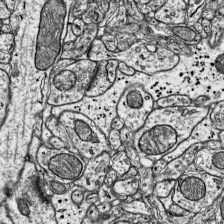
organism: Mouse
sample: Visual Cortex